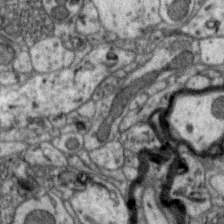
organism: Zebra finch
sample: Brain